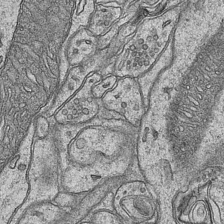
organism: Mouse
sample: CA1 Hippocampus